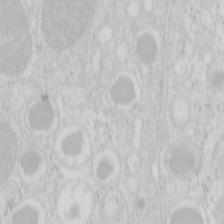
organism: Mouse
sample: Pancreas